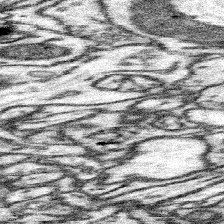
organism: Mouse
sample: Somatosensory cortex neuropil